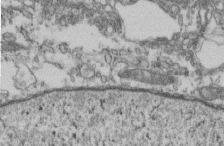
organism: Mouse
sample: Cilia; retinal pigment epithelium